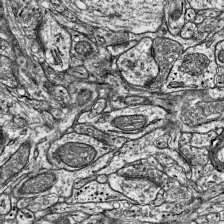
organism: Mouse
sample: Visual Cortex